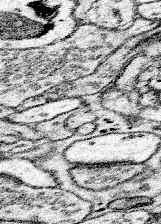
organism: Mouse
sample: Somatosensory cortex neuropil